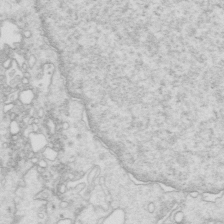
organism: Mouse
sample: Multiciliated cells